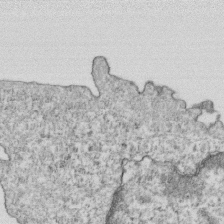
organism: Mouse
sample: Activated OT-1 CD8+ T cells